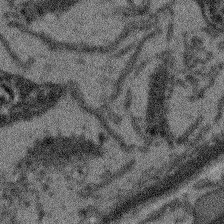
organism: Arabidopsis thaliana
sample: Root tip